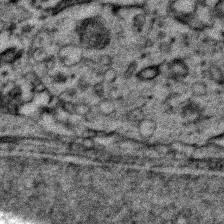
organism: Zebrafish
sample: Zebrafish embryo